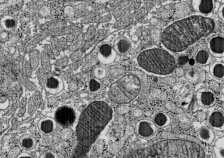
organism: C57BL Mouse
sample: Pancreatic islet